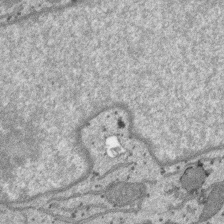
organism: Human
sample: Lung epithelial cells infected with SARS-CoV-2